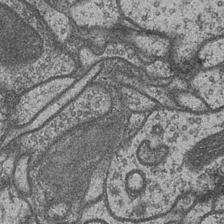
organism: Drosophila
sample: Optic medulla